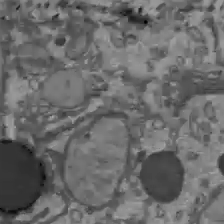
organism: C57BL Mouse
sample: Liver